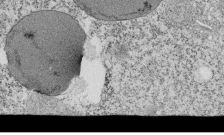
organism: Tetrahymena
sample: Cilia in tetrahymena